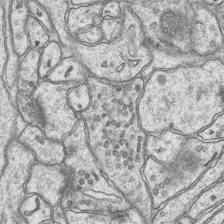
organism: Mouse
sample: CA1 Hippocampus